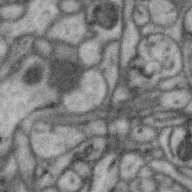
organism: Zebra finch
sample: Brain